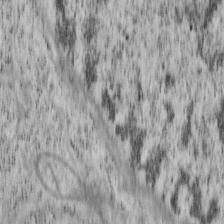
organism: Human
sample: HeLa cells